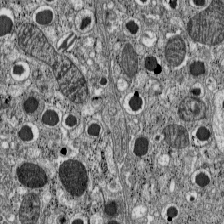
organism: C57BL Mouse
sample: Pancreatic islet